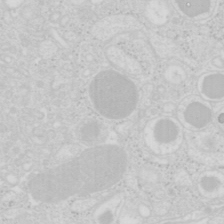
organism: Mouse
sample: Pancreas